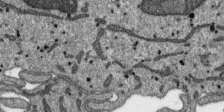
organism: Human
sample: Lung epithelial cells, uninfected (mock) control